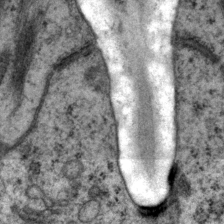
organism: P. pacificus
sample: Pharynx